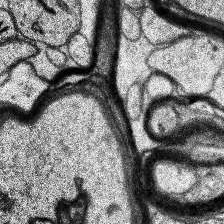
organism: Human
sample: Temporal Lobe